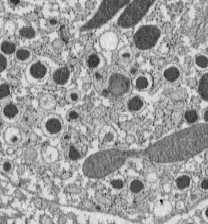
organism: C57BL Mouse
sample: Pancreatic islet